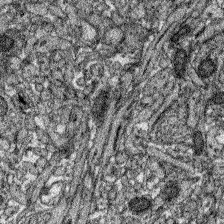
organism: Zebrafish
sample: Larval olfactory bulb